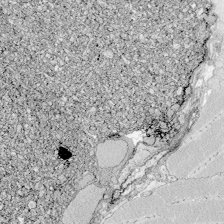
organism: Zebrafish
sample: Whole-Brain